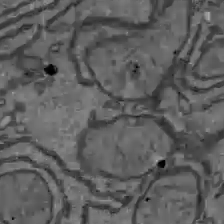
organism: C57BL Mouse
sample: Liver